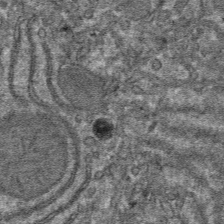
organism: Mouse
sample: Mouse hepatocytes